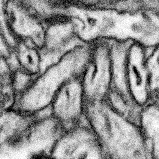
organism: Mouse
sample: Somatosensory cortex neuropil